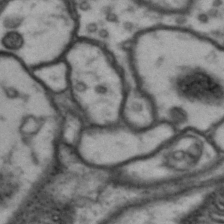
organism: Drosophila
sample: Brain